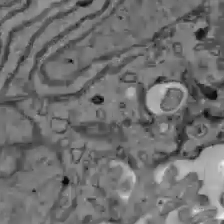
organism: C57BL Mouse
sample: Liver